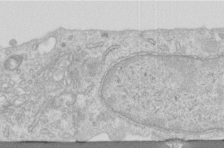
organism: Human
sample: Centriole in RPE cells